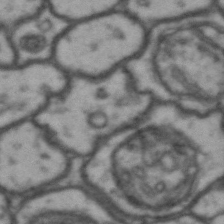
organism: Drosophila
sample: Brain